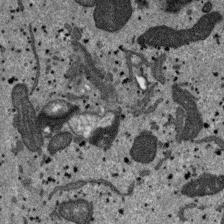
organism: Human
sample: Lung epithelial cells, uninfected (mock) control